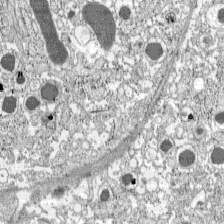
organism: C57BL Mouse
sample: Pancreatic islet